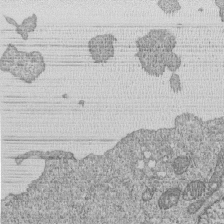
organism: Human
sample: MDA-MB-231 cells